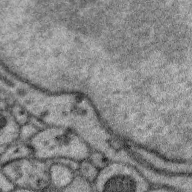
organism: Zebra finch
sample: Brain